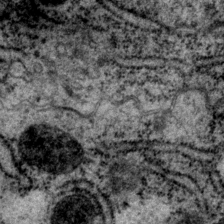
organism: P. pacificus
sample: Pharynx